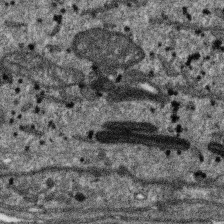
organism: Human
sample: Lung epithelial cells infected with SARS-CoV-2